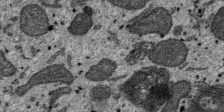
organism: Human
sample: Lung epithelial cells, uninfected (mock) control